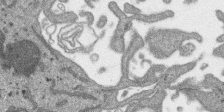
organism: Human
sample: Lung epithelial cells infected with SARS-CoV-2